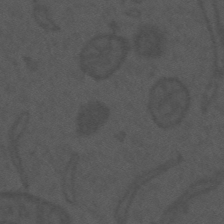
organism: Mouse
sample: Suprachiasmatic nucleus